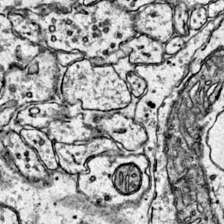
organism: Mouse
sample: Primary visual cortex